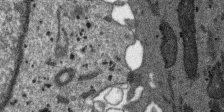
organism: Human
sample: Lung epithelial cells infected with SARS-CoV-2